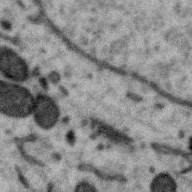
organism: Zebra finch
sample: Brain